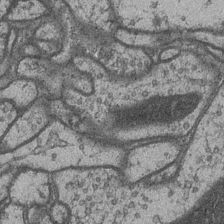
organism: Drosophila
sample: Optic medulla